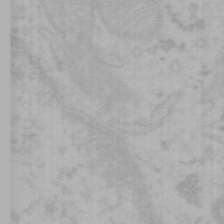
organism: Mouse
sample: Choroid plexus